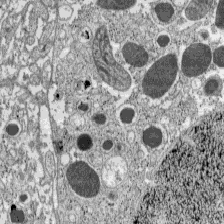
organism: C57BL Mouse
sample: Pancreatic islet